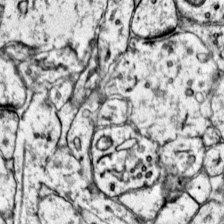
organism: Mouse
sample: Primary visual cortex